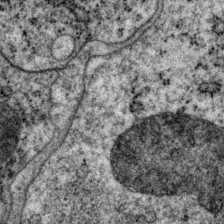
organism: P. pacificus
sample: Pharynx